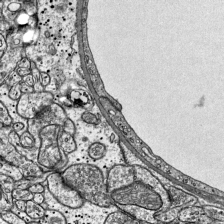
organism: Mouse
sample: Visual Cortex